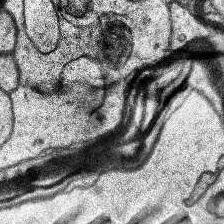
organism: Human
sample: Temporal Lobe